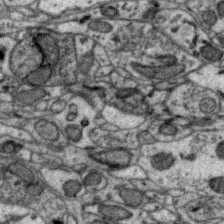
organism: Zebra finch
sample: Brain